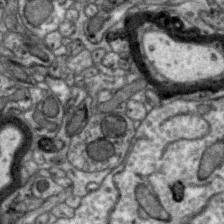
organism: Zebra finch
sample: Brain